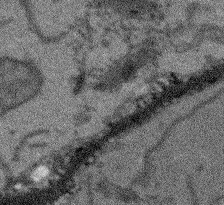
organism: Arabidopsis thaliana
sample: Root tip